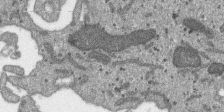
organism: Human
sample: Lung epithelial cells infected with SARS-CoV-2